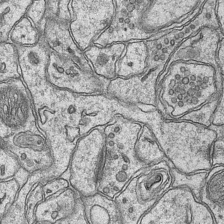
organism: Mouse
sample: CA1 Hippocampus